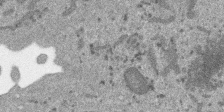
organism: Human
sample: Lung epithelial cells infected with SARS-CoV-2